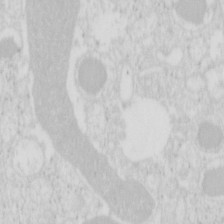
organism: Mouse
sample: Pancreas